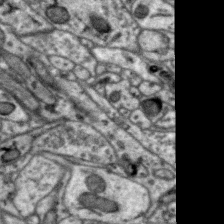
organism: Zebra finch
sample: Brain